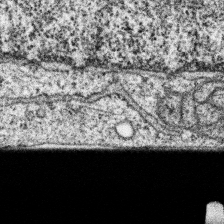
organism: Human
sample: HeLa cells